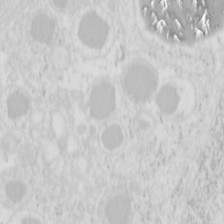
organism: Mouse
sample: Pancreas